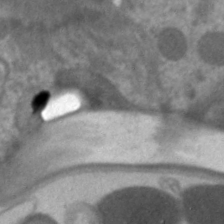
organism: C. elegans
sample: Pharynx